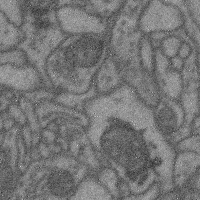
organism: Mouse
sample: Cerebral cortex